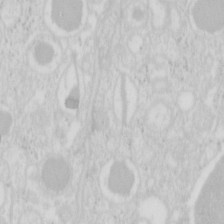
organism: Mouse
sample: Pancreas